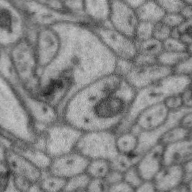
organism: Zebra finch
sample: Brain